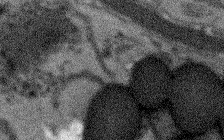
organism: Arabidopsis thaliana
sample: Root tip